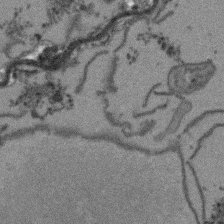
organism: Arabidopsis thaliana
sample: Root tip